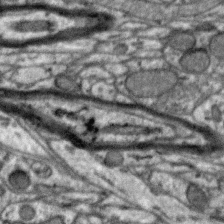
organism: Zebra finch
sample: Brain